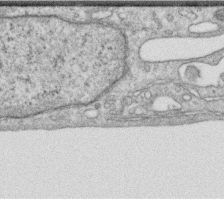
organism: Human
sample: Centriole in RPE cells